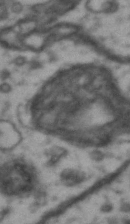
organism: Drosophila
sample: Brain